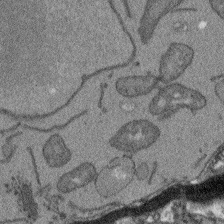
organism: Arabidopsis thaliana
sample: Root tip